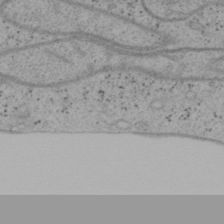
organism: Human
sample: HeLa cells